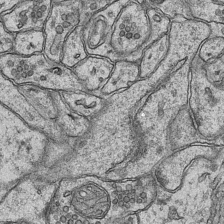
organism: Mouse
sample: CA1 Hippocampus